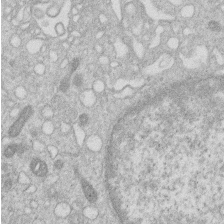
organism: Human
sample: Macrophage cells